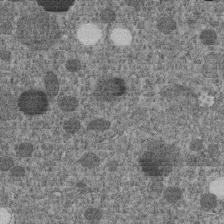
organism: C. elegans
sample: C. elegans embryo early stage